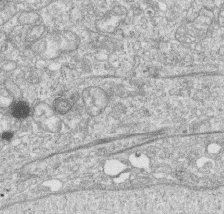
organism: Human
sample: HeLa cell HIV synapse